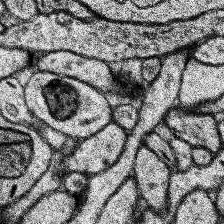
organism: Human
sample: Temporal Lobe